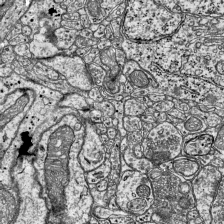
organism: Mouse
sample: Visual Cortex